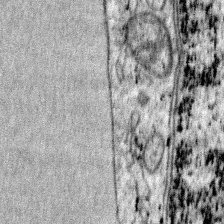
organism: Human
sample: HeLa cells